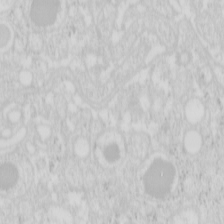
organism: Mouse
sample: Pancreas